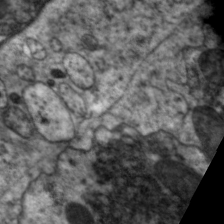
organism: C. elegans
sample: Pharynx